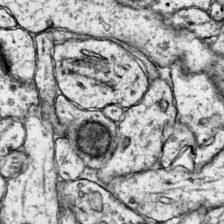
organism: Mouse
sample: Primary visual cortex